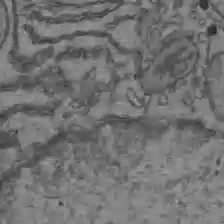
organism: C57BL Mouse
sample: Liver